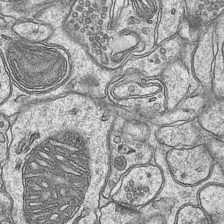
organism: Mouse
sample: CA1 Hippocampus